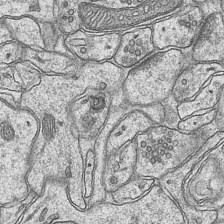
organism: Mouse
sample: CA1 Hippocampus